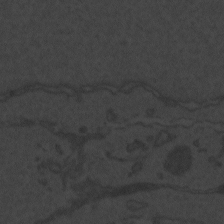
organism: Zebrafish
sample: Macrophage infected with Toxoplasma gondii